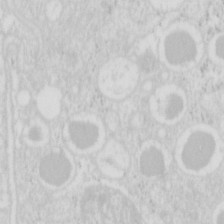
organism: Mouse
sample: Pancreas